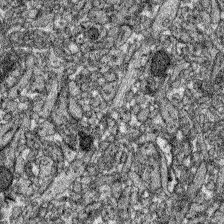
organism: Zebrafish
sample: Larval olfactory bulb